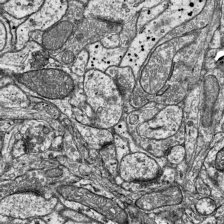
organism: Mouse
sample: Visual Cortex